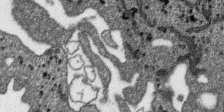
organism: Human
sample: Lung epithelial cells infected with SARS-CoV-2